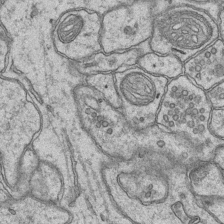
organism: Mouse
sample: CA1 Hippocampus